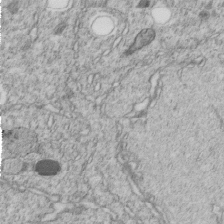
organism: C. elegans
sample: C. elegans embryo early stage